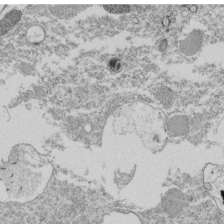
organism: Tetrahymena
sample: Cilia in tetrahymena